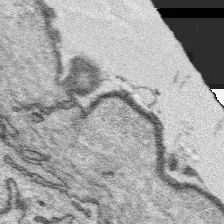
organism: Platynereis dumerilii